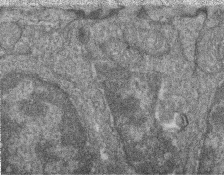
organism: Zebrafish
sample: Cilia; retinal pigment epithelium